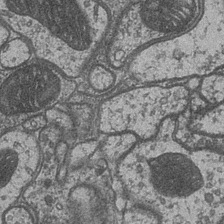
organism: Drosophila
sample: Optic medulla